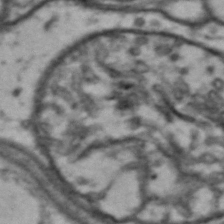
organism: Drosophila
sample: Brain